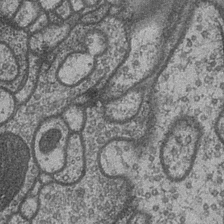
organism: Drosophila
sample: Optic medulla